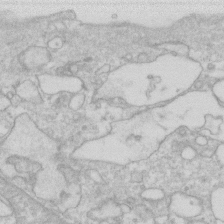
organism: Human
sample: Fibroblast cells